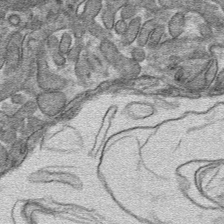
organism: Mouse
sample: Mouse hepatocytes